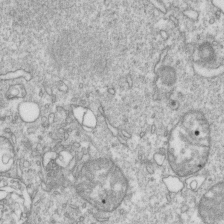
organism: Mouse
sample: Activated OT-1 CD8+ T cells